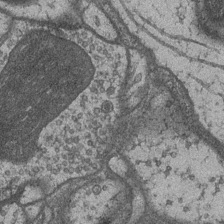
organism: Drosophila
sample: Optic medulla